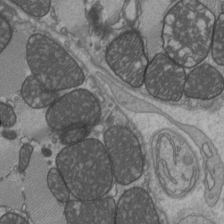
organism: C57BL Mouse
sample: Heart